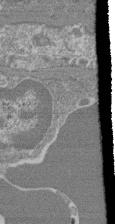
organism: Mouse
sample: Glomerulus